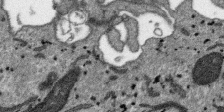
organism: Human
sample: Lung epithelial cells, uninfected (mock) control